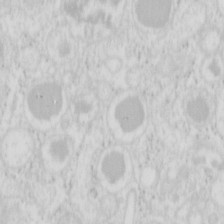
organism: Mouse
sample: Pancreas